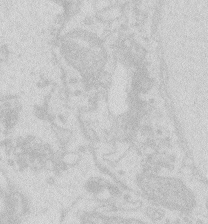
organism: Zebrafish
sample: Macrophage